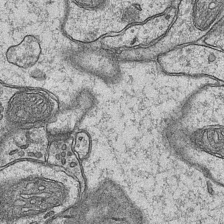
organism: Mouse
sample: CA1 Hippocampus